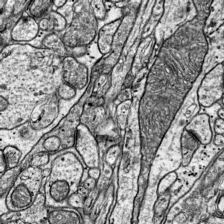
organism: Mouse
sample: Visual Cortex